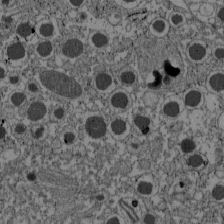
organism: C57BL Mouse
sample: Pancreatic islet